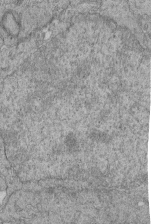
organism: Human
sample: Retinal organoid Rod and Cone cells